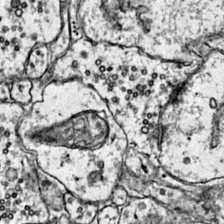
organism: Mouse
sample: Primary visual cortex